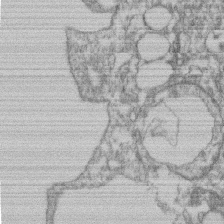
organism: Mouse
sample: T cell stromal cell synapse